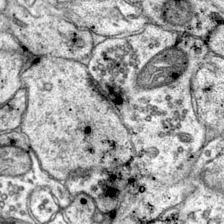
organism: Mouse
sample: Primary visual cortex